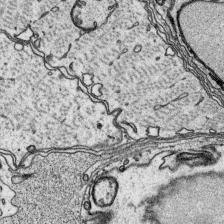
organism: Platynereis dumerilii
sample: Parapodia